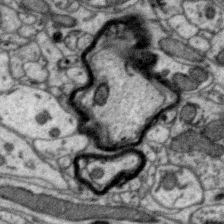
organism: Zebra finch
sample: Brain